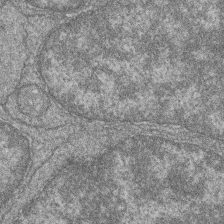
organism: Zebrafish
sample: Cilia; retinal pigment epithelium